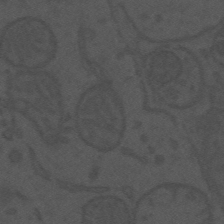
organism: Mouse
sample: Suprachiasmatic nucleus